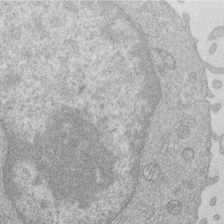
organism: Human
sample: Macrophage cells